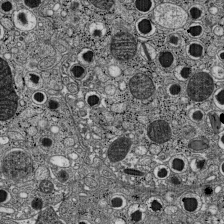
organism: C57BL Mouse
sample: Pancreatic islet